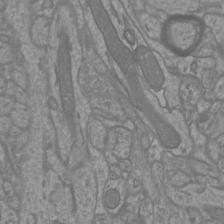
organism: Mouse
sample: Cortical neurons